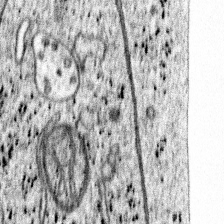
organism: Human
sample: HeLa cells